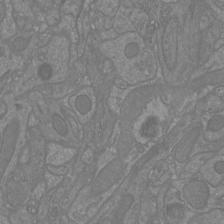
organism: Mouse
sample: Cortical neurons